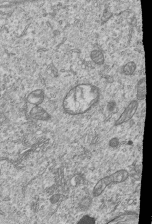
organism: Human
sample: MDA-MB-231 cells